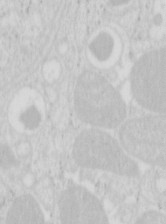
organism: Mouse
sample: Pancreas